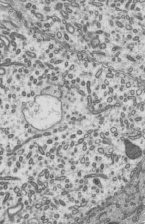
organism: Mouse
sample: Mouse epididymis efferent ductule cilia